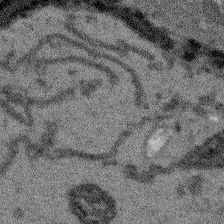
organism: Arabidopsis thaliana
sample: Root tip